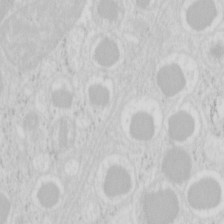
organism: Mouse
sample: Pancreas